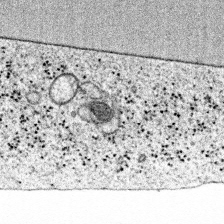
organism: Human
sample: HeLa cells